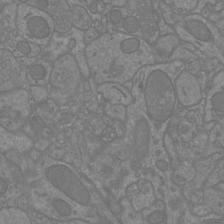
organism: Mouse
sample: Cortical neurons